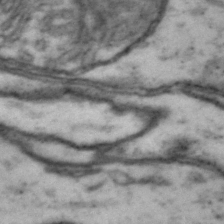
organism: Drosophila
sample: Brain